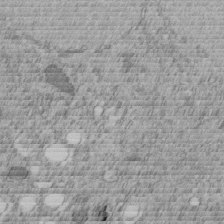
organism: C. elegans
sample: C. elegans embryo early stage